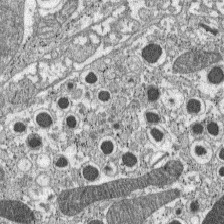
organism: C57BL Mouse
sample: Pancreatic islet